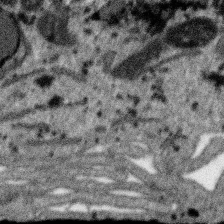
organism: Human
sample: Lung epithelial cells infected with SARS-CoV-2